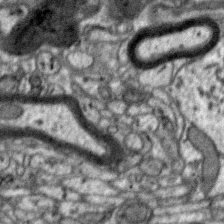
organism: Zebra finch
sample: Brain